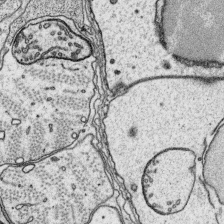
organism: Platynereis dumerilii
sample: Parapodia